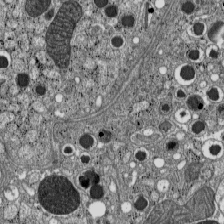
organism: C57BL Mouse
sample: Pancreatic islet